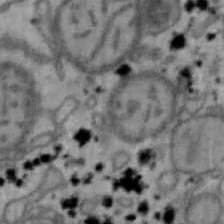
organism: Mouse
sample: Liver